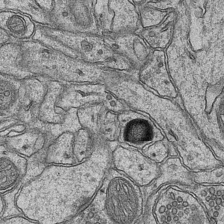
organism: Mouse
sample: CA1 Hippocampus